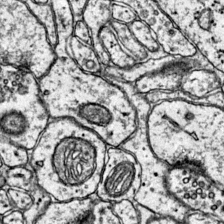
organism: Mouse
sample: Primary visual cortex